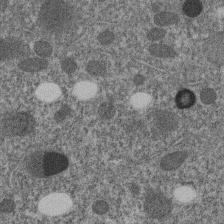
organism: C. elegans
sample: C. elegans embryo early stage